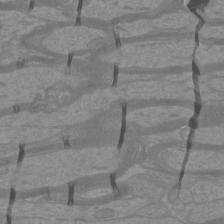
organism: Mouse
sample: Cortical neurons